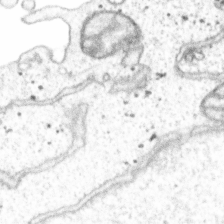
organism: Human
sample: HeLa cells